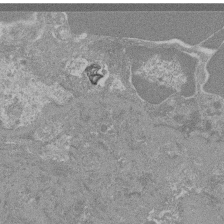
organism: Mouse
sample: Glomerulus